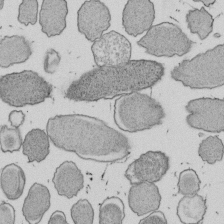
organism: E. coli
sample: Bacterial nucleoid